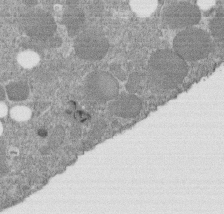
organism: C. elegans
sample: C. elegans embryo early stage